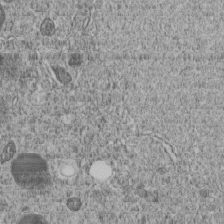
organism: C. elegans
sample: C. elegans embryo early stage